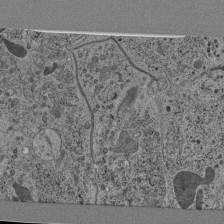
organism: C. elegans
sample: C. elegans pharynx